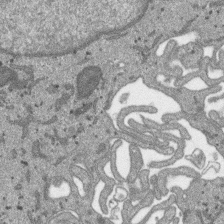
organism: Human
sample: Lung epithelial cells infected with SARS-CoV-2